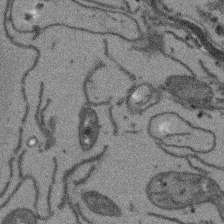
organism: Arabidopsis thaliana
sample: Root tip